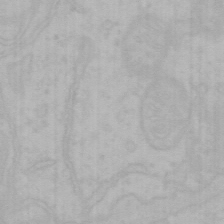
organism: Mouse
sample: Choroid plexus